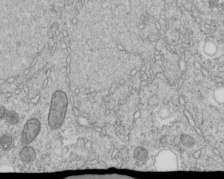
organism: C. elegans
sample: C. elegans embryo early stage